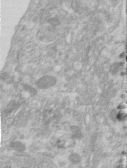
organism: Human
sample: Centriole in RPE cells